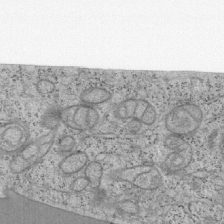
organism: Human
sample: HeLa cells